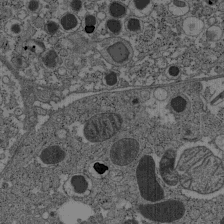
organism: C57BL Mouse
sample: Pancreatic islet